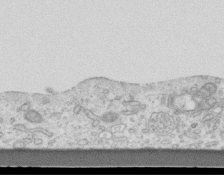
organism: Mouse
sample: Centriole in ependymal cells